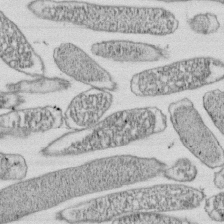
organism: E. coli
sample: Bacterial nucleoid